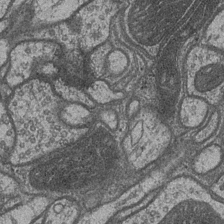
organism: Drosophila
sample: Optic medulla